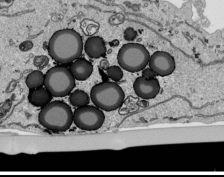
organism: Human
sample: Mitochondria in HCT116 cells